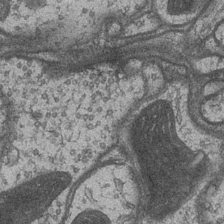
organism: Drosophila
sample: Optic medulla